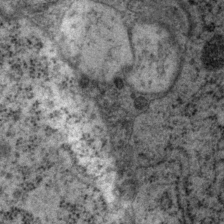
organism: P. pacificus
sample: Pharynx